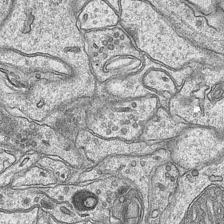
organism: Mouse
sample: CA1 Hippocampus